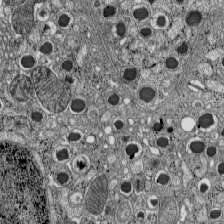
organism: C57BL Mouse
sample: Pancreatic islet